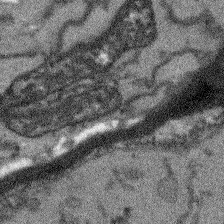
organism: Arabidopsis thaliana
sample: Root tip